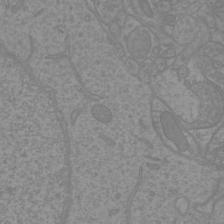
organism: Mouse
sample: Cortical neurons